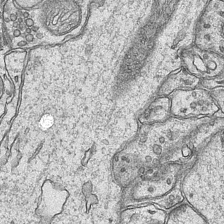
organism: Mouse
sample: CA1 Hippocampus